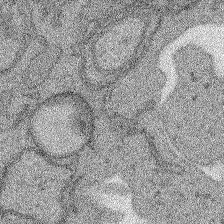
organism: Human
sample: HeLa cells